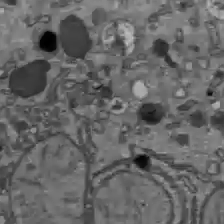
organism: C57BL Mouse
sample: Liver